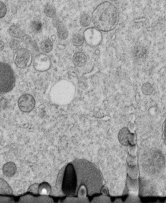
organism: C. elegans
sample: C. elegans embryo early stage